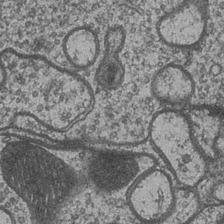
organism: Drosophila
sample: Optic medulla